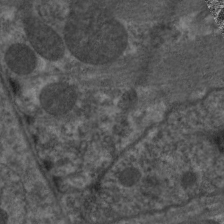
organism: C. elegans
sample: Pharynx